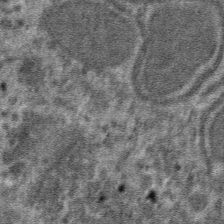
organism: Mouse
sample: Mouse hepatocytes